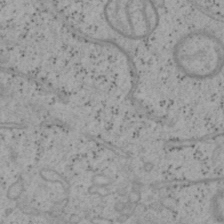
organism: Human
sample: HeLa cells